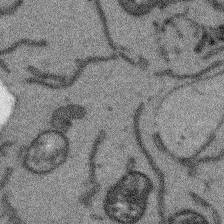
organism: Arabidopsis thaliana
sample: Root tip